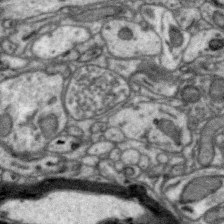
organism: Zebra finch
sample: Brain